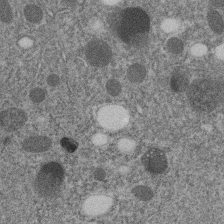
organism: C. elegans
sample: C. elegans embryo early stage